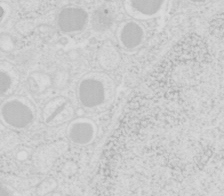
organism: Mouse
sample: Pancreas